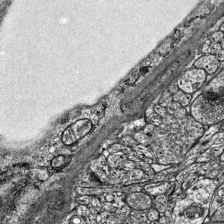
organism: Mouse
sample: Visual Cortex